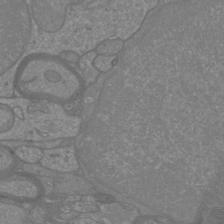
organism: Mouse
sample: Cortical neurons